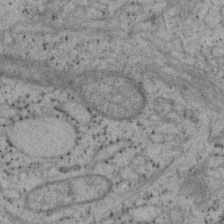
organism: Human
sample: HeLa cells